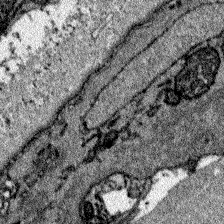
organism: Zebrafish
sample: Larval olfactory bulb